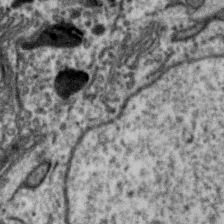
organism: Zebra finch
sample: Brain